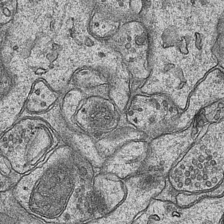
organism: Mouse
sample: CA1 Hippocampus